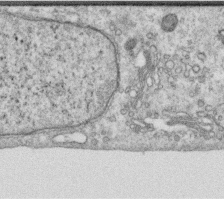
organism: Human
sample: Centriole in RPE cells